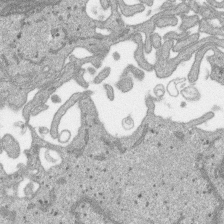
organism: Human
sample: Lung epithelial cells infected with SARS-CoV-2